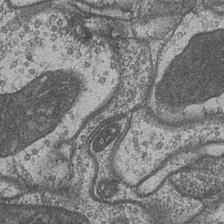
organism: Drosophila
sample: Optic medulla